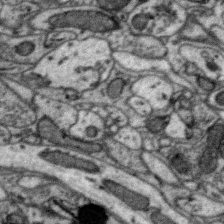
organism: Zebra finch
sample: Brain